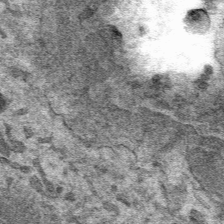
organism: Mouse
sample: Mouse hepatocytes